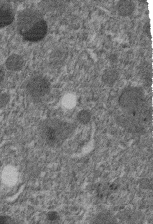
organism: C. elegans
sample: C. elegans embryo early stage